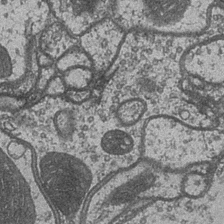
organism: Drosophila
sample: Optic medulla